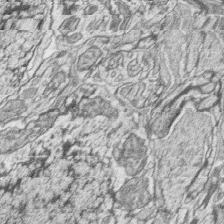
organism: Zebrafish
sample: synaptic ribbons in rod cells and cone cells